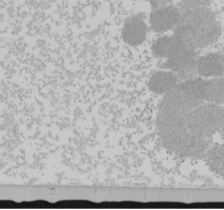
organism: Mouse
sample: Cancer cell death in ED-1 cells